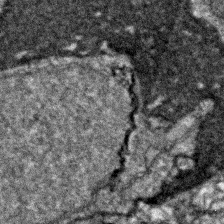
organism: Zebrafish